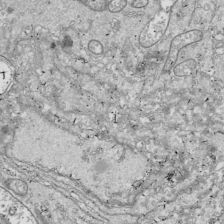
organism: Drosophila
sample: Cell division; meiosis; drosophila spermatocytes